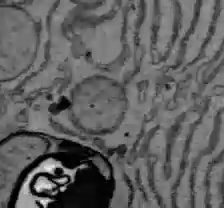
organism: C57BL Mouse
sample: Liver